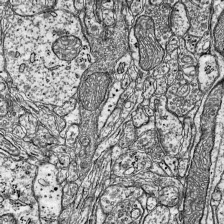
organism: Mouse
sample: Visual Cortex